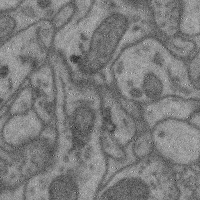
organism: Mouse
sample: Cerebral cortex